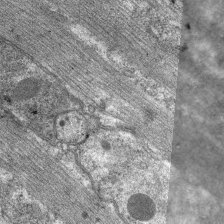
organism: C. elegans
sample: Pharynx